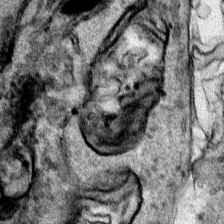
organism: Human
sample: Mitochondria in HCT116 cells